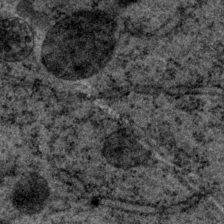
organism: P. pacificus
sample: Pharynx